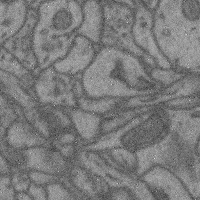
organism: Mouse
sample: Cerebral cortex